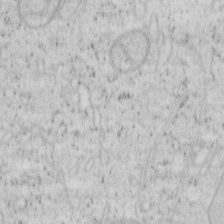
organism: Human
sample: HeLa cells